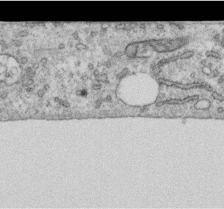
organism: Human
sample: Centriole in RPE cells